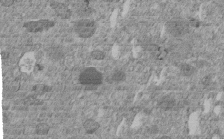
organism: C. elegans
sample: C. elegans embryo early stage